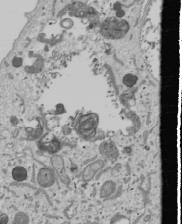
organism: Human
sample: Mitochondria in U2OS cells